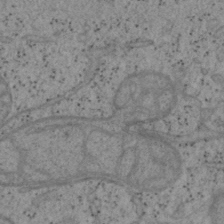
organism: Human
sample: HeLa cells